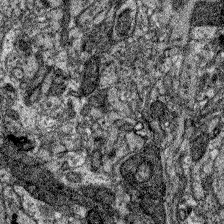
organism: Zebrafish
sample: Larval olfactory bulb